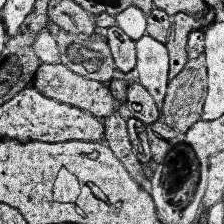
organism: Human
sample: Temporal Lobe